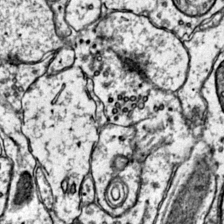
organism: Mouse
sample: Primary visual cortex